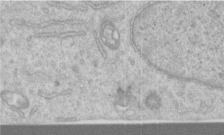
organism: Human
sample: Centriole in RPE cells